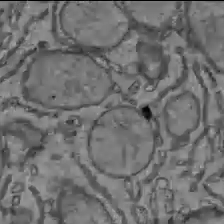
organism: C57BL Mouse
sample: Liver